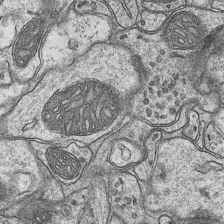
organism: Mouse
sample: CA1 Hippocampus